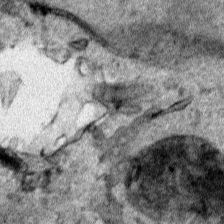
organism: Human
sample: Mitochondria in HCT116 cells